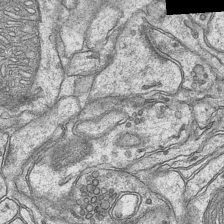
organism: Mouse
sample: CA1 Hippocampus